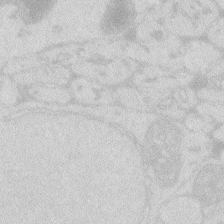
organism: Zebrafish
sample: Macrophage